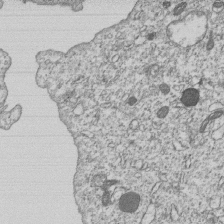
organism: Human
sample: MDA-MB-231 cells